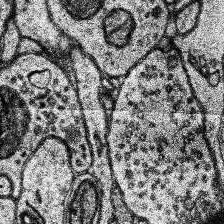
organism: Human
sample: Temporal Lobe